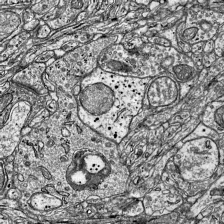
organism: Mouse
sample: Visual Cortex